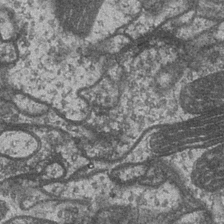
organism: Drosophila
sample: Optic medulla